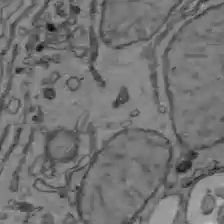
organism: C57BL Mouse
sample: Liver